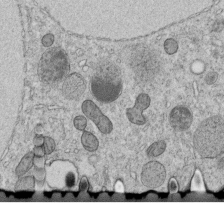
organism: C. elegans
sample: C. elegans embryo early stage